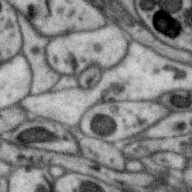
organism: Zebra finch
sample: Brain